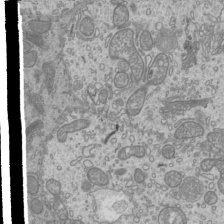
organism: Mouse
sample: Cilia; mouse epididymis